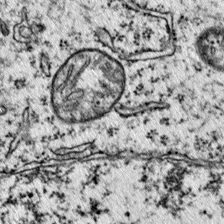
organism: Mouse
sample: Primary visual cortex